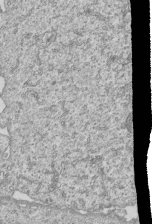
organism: Human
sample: MDA-MB-231 cells